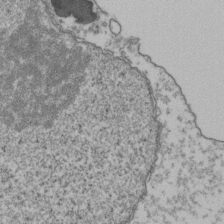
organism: Human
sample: Activated Jurkat CD4+ T cells